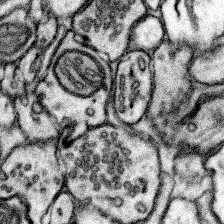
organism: Mouse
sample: Somatosensory cortex neuropil